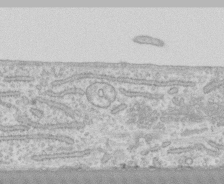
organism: Human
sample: CRL-1474